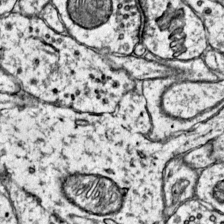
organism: Mouse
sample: Primary visual cortex